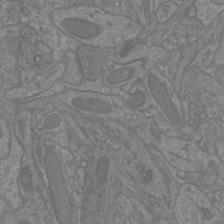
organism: Mouse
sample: Cortical neurons